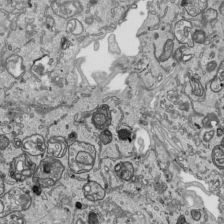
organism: Human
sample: Mitochondria in HCT116 cells